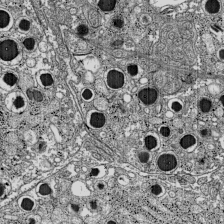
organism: C57BL Mouse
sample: Pancreatic islet